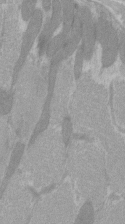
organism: C57BL Mouse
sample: Tibialis anterior muscle cell